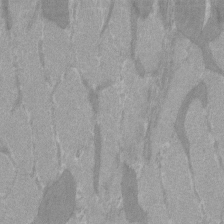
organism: C57BL Mouse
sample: Tibialis anterior muscle cell